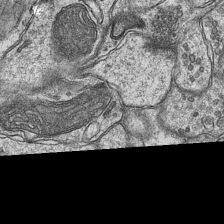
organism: Mouse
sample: CA1 Hippocampus